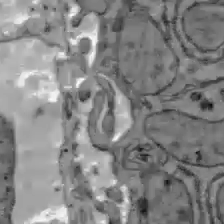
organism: C57BL Mouse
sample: Liver